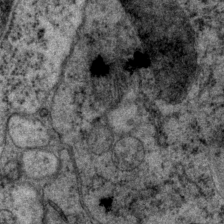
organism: P. pacificus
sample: Pharynx